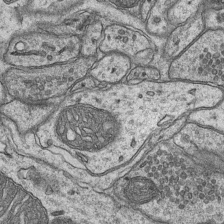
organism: Mouse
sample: CA1 Hippocampus